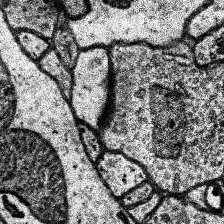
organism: Human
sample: Temporal Lobe